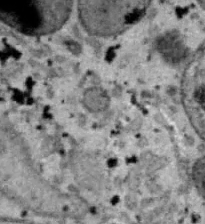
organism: Mouse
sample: Liver from an obese (ob/ob) mouse